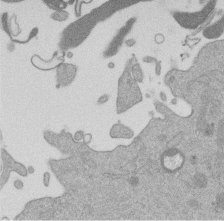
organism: Mouse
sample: Dividing mouse embryo 1 cell stage